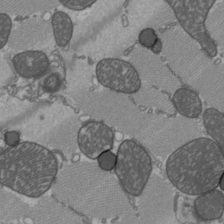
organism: C57BL Mouse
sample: Heart